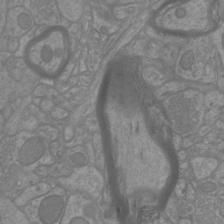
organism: Mouse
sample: Cortical neurons